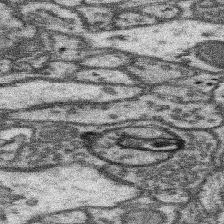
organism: Mouse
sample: Somatosensory cortex neuropil